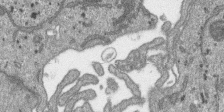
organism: Human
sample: Lung epithelial cells infected with SARS-CoV-2